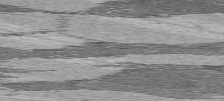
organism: C57BL Mouse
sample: Heart